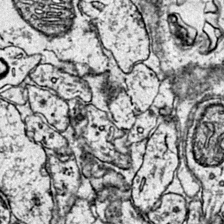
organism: Mouse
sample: Primary visual cortex